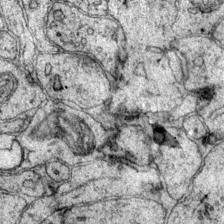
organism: Mouse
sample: Primary visual cortex